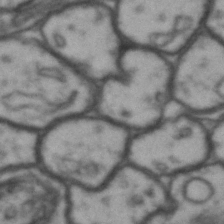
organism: Drosophila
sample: Brain